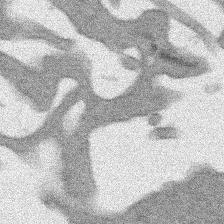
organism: Human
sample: Mitochondria in HCT116 cells